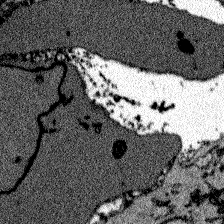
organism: Zebrafish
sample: Larval olfactory bulb